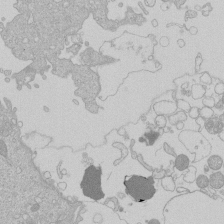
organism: Human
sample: Macrophage cells